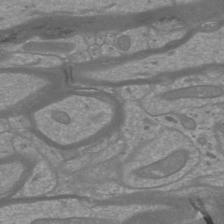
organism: Mouse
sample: Cortical neurons